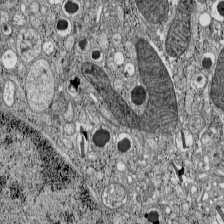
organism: C57BL Mouse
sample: Pancreatic islet